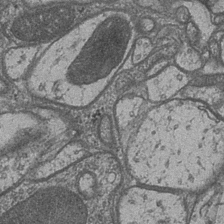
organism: Drosophila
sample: Optic medulla